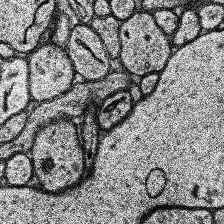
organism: Human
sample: Temporal Lobe